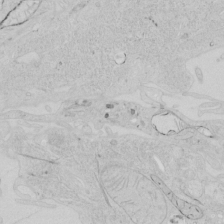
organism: Human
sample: Mitochondria in HCT116 cells